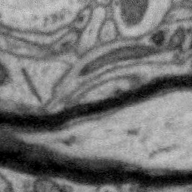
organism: Zebra finch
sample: Brain